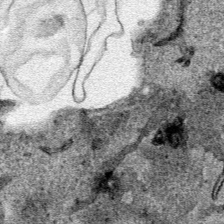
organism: Human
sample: Mitochondria in HCT116 cells